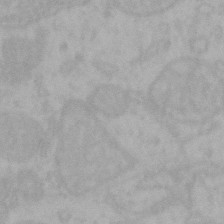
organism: Mouse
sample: Choroid plexus